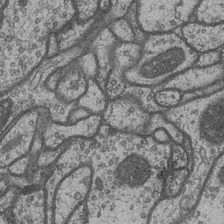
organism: Drosophila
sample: Optic medulla